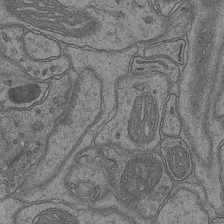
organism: Mouse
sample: CA1 Hippocampus